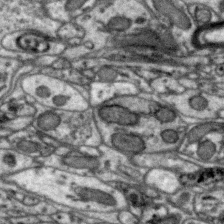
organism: Zebra finch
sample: Brain